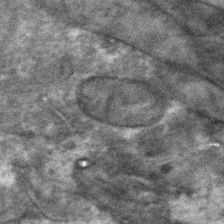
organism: C. elegans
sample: C. elegans embryo